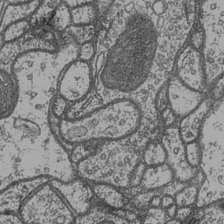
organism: Drosophila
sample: Optic medulla